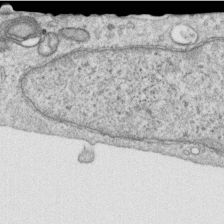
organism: Human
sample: Centriole in RPE cells